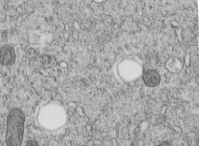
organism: C. elegans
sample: C. elegans embryo early stage